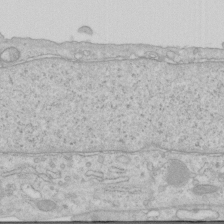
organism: Human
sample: Centriole in RPE cells